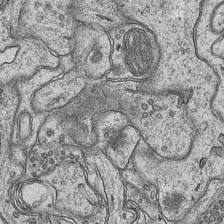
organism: Mouse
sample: CA1 Hippocampus